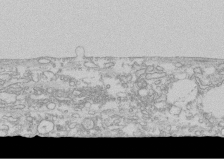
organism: Human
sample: CRL-1474